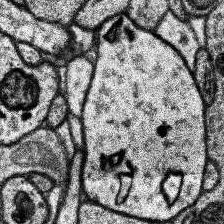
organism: Human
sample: Temporal Lobe